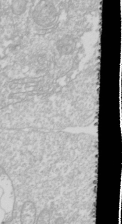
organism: Drosophila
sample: Cell division; meiosis; drosophila spermatocytes